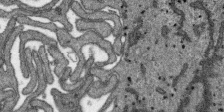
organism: Human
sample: Lung epithelial cells, uninfected (mock) control